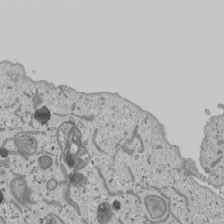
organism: Human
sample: Mitochondria in U2OS cells